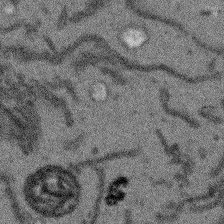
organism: Arabidopsis thaliana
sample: Root tip